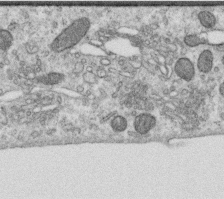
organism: Human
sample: Centriole in RPE cells